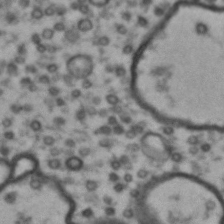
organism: Drosophila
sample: Brain